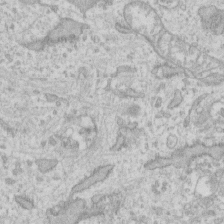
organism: Human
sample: Fibroblast cells